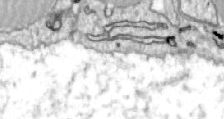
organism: Zebrafish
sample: Actinotrichia fibers